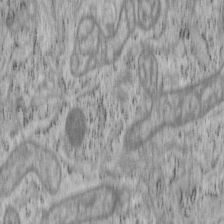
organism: Human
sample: HeLa cells